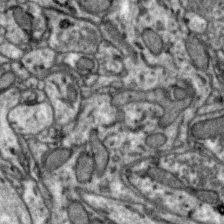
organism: Zebra finch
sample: Brain